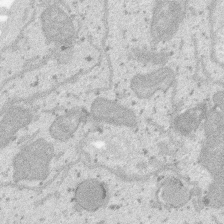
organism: Human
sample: Lung epithelial cells infected with SARS-CoV-2